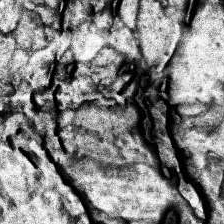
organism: Human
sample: Temporal Lobe